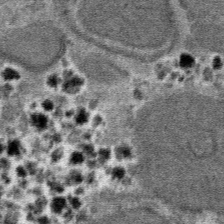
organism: Mouse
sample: Mouse hepatocytes